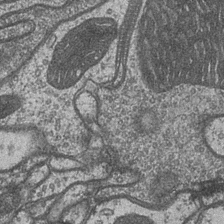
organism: Drosophila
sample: Optic medulla